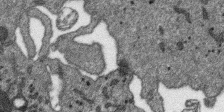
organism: Human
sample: Lung epithelial cells infected with SARS-CoV-2